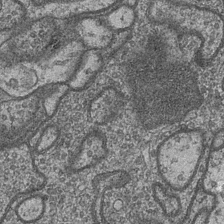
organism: Drosophila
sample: Optic medulla